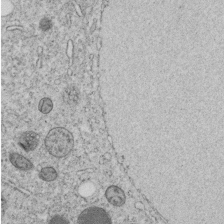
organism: C. elegans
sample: C. elegans embryo early stage